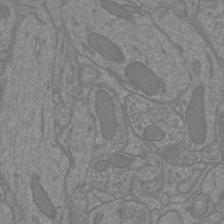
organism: Mouse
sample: Cortical neurons